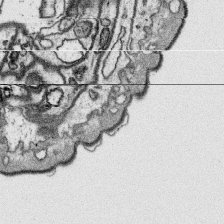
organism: Platynereis dumerilii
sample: Parapodia